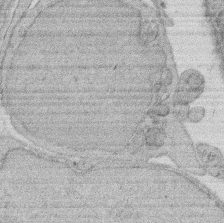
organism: Rat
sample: Salivary granule